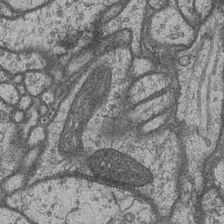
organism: Drosophila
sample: Optic medulla